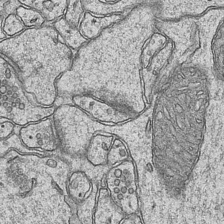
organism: Mouse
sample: CA1 Hippocampus